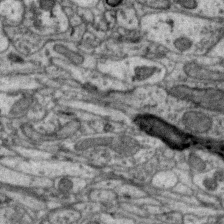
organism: Zebra finch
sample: Brain